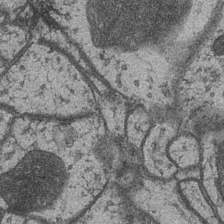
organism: Drosophila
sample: Optic medulla